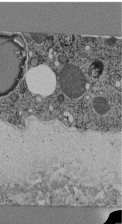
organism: C. elegans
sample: C. elegans pharynx